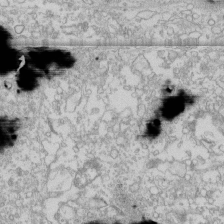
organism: Human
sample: CRL-1474